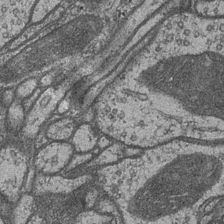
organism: Drosophila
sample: Optic medulla